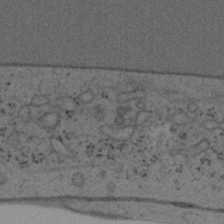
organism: Human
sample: HeLa cells